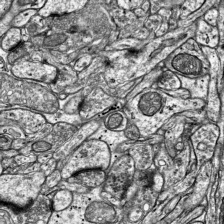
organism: Mouse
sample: Visual Cortex